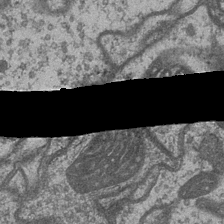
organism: Drosophila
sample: Optic medulla